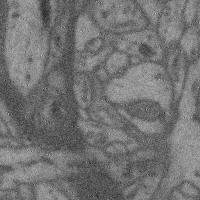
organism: Mouse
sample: Cerebral cortex